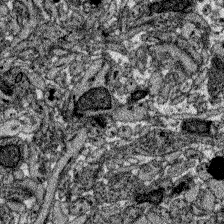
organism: Zebrafish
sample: Larval olfactory bulb